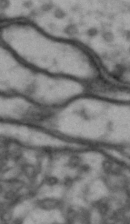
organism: Drosophila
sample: Brain